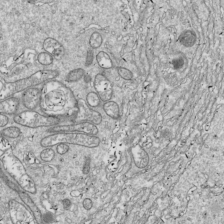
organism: Drosophila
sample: Cell division; meiosis; drosophila spermatocytes